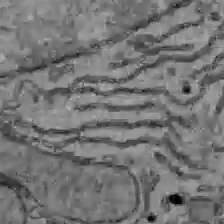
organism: C57BL Mouse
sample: Liver